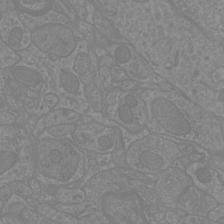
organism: Mouse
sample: Cortical neurons